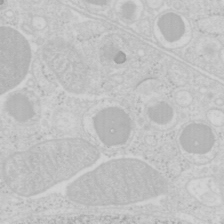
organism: Mouse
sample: Pancreas